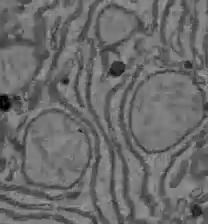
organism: C57BL Mouse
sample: Liver